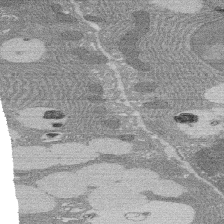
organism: Rat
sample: Salivary granule